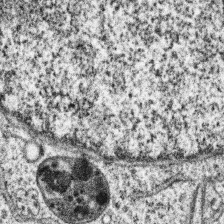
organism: Human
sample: HeLa cells